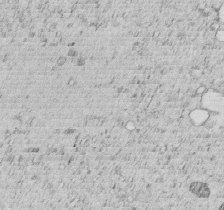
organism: C. elegans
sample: C. elegans embryo early stage